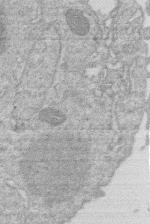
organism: Human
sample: Macrophage cells